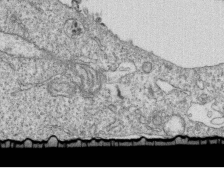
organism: Human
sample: HeLa cell HIV synapse